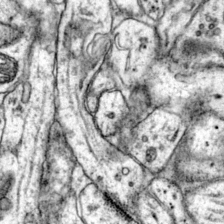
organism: Mouse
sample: Primary visual cortex